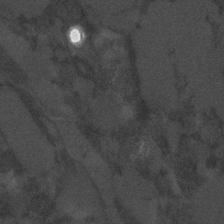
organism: C. elegans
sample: C. elegans embryo